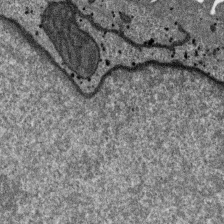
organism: Human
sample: Lung epithelial cells, uninfected (mock) control